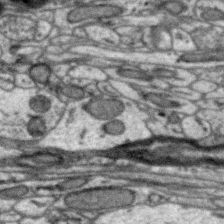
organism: Zebra finch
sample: Brain